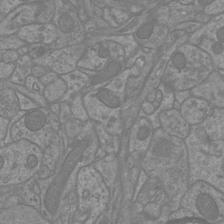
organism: Mouse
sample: Cortical neurons